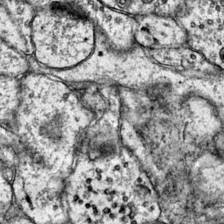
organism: Mouse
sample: Primary visual cortex